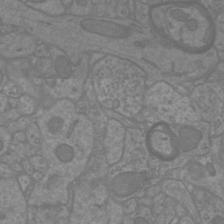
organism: Mouse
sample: Cortical neurons